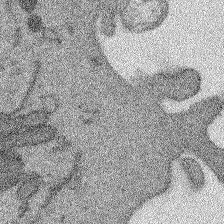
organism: Human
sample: HeLa cells